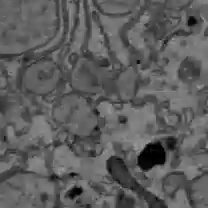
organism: C57BL Mouse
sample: Liver